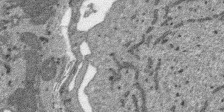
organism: Human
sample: Lung epithelial cells infected with SARS-CoV-2